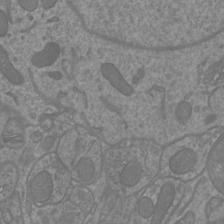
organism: Mouse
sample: Cortical neurons